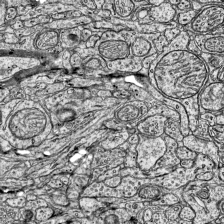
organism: Mouse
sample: Visual Cortex